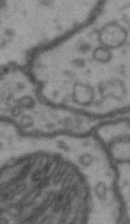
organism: Drosophila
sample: Brain